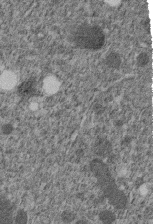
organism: C. elegans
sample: C. elegans embryo early stage